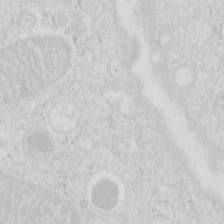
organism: Mouse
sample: Pancreas